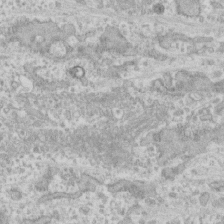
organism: Human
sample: CRL-1474